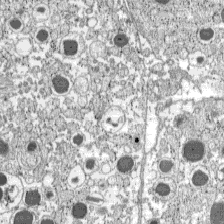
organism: C57BL Mouse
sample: Pancreatic islet